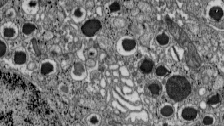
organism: C57BL Mouse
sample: Pancreatic islet